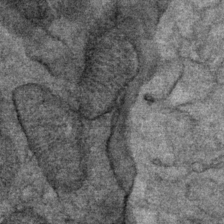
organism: Mouse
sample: Mouse Salivary gland